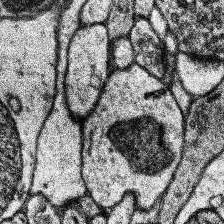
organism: Human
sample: Temporal Lobe